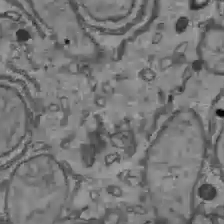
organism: C57BL Mouse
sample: Liver